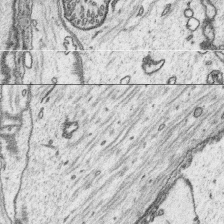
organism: Platynereis dumerilii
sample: Parapodia